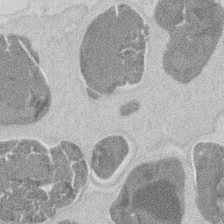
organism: Mouse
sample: T cell stromal cell synapse